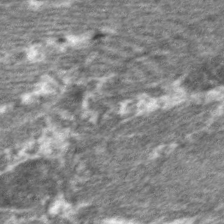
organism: C. elegans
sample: Pharynx